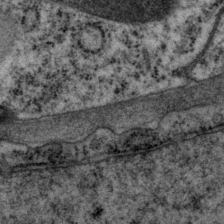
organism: P. pacificus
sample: Pharynx